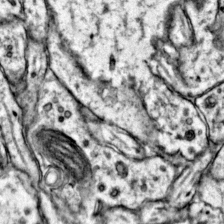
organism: Mouse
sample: Primary visual cortex